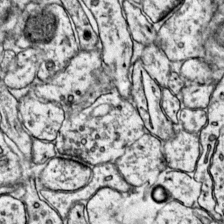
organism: Mouse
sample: Primary visual cortex